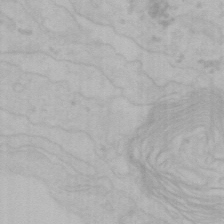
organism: Mouse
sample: Choroid plexus